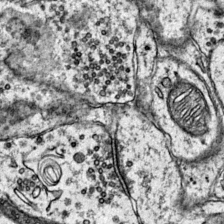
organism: Mouse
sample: Primary visual cortex